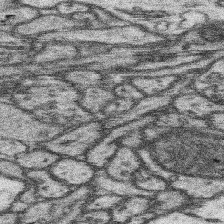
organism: Mouse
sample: Somatosensory cortex neuropil